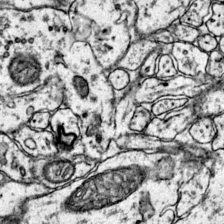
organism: Mouse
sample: Primary visual cortex